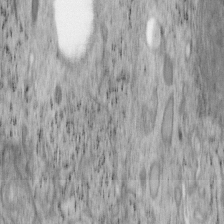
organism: Human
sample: HeLa cells